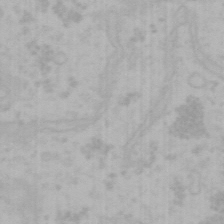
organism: Mouse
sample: Choroid plexus